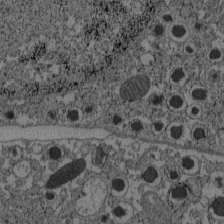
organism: C57BL Mouse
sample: Pancreatic islet